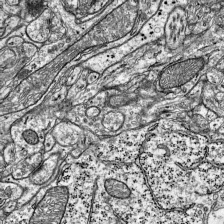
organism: Mouse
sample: Visual Cortex